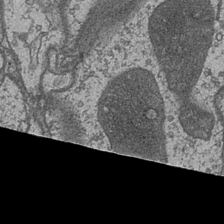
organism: Drosophila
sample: Optic medulla